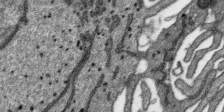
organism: Human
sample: Lung epithelial cells, uninfected (mock) control